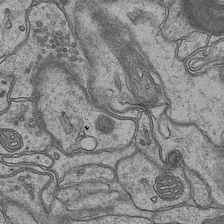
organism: Mouse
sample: CA1 Hippocampus